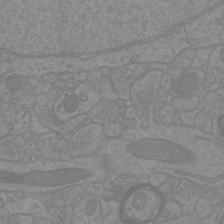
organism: Mouse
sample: Cortical neurons